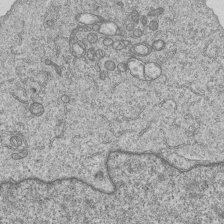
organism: Human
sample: MDA-MB-231 cells